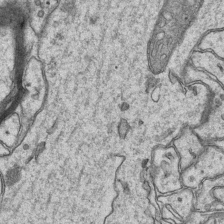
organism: Mouse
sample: CA1 Hippocampus